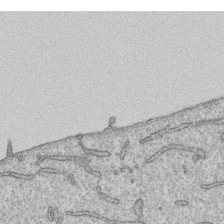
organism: Human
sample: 1205lu cells